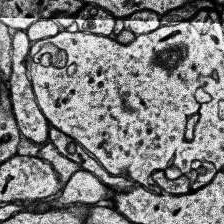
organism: Human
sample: Temporal Lobe